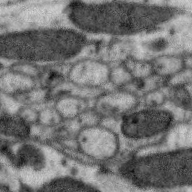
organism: Zebra finch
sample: Brain